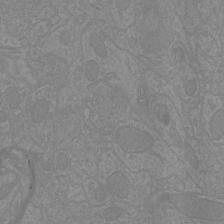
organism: Mouse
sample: Cortical neurons